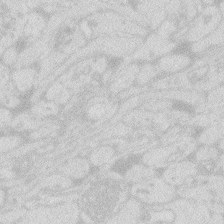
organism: Zebrafish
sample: Macrophage